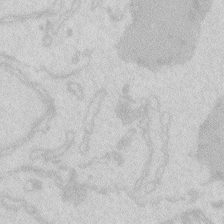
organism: Zebrafish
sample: Macrophage